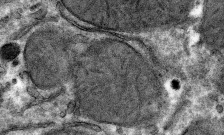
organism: Mouse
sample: Mouse hepatocytes